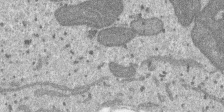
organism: Human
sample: Lung epithelial cells infected with SARS-CoV-2